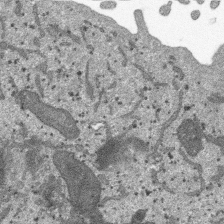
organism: Human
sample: Lung epithelial cells infected with SARS-CoV-2